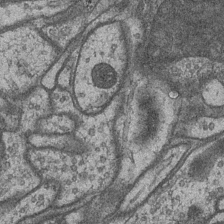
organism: Drosophila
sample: Optic medulla